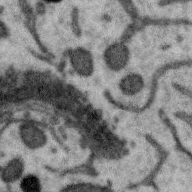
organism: Zebra finch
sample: Brain